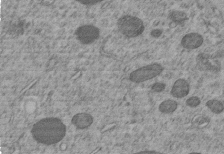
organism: C. elegans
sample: C. elegans embryo early stage